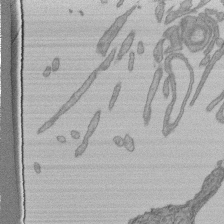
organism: Human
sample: Retinal organoid Rod and Cone cells